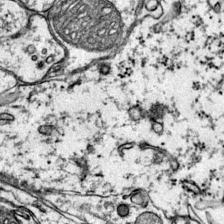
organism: Mouse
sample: Primary visual cortex